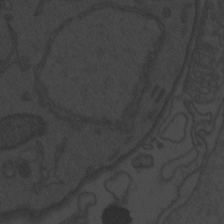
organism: Zebrafish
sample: Macrophage infected with Toxoplasma gondii